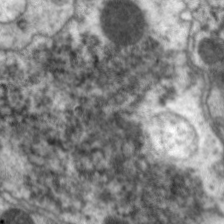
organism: C. elegans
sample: Pharynx